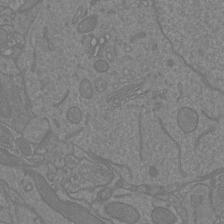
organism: Mouse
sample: Cortical neurons